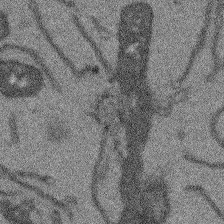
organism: Arabidopsis thaliana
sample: Root tip